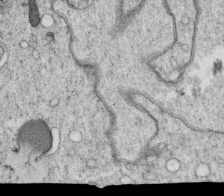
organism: C. elegans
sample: C. elegans oocyte; sperm cells